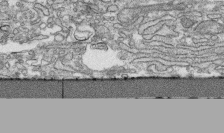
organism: Human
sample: CRL-1474